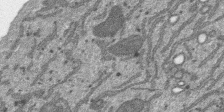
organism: Human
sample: Lung epithelial cells infected with SARS-CoV-2